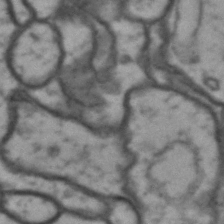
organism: Drosophila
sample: Brain